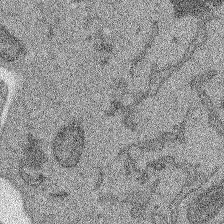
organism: Human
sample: HeLa cells